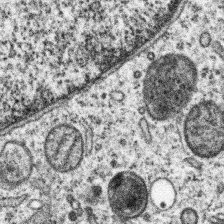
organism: Human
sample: HeLa cells